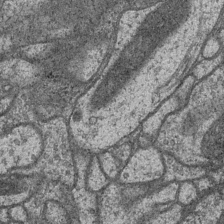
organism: Drosophila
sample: Optic medulla